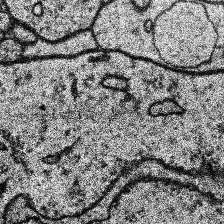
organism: Human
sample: Temporal Lobe